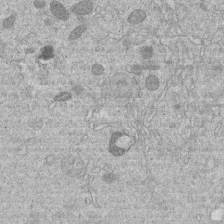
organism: Human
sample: Macrophage cells